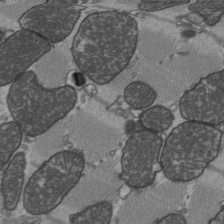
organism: C57BL Mouse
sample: Heart